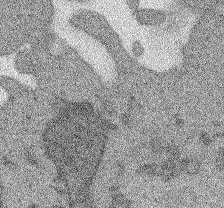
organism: Human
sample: HeLa cells